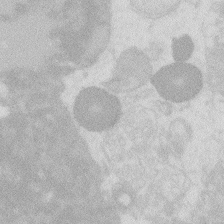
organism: Zebrafish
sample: Macrophage